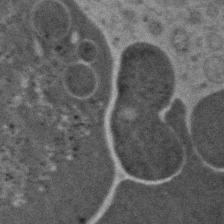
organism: Zebrafish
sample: Zebrafish embryo